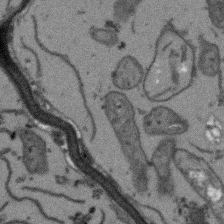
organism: Arabidopsis thaliana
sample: Root tip